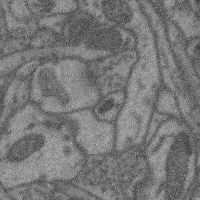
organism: Mouse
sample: Cerebral cortex